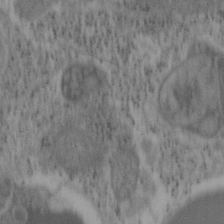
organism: Mouse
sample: OT-I killer T cells with ID8 ovarian cancer cells